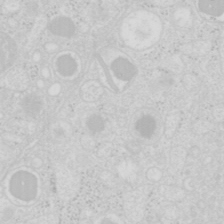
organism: Mouse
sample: Pancreas